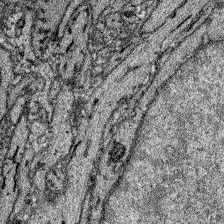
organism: Zebrafish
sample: Larval olfactory bulb